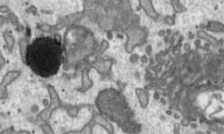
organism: Toxoplasma gondii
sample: Parasites in a vacuole inside a host cell